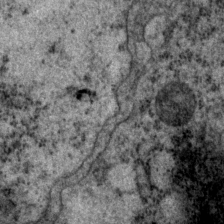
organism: P. pacificus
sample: Pharynx